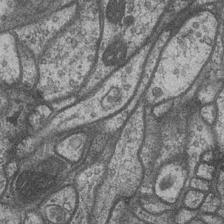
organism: Drosophila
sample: Optic medulla